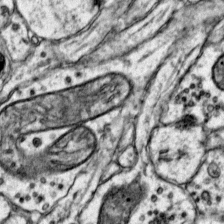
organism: Mouse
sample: Primary visual cortex